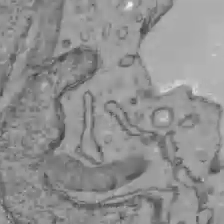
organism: C57BL Mouse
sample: Liver